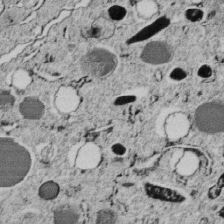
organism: C. elegans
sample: C. elegans embryo early stage